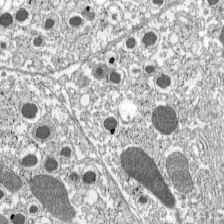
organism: C57BL Mouse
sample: Pancreatic islet